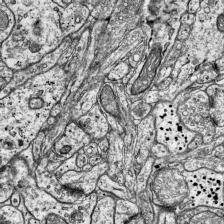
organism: Mouse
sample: Visual Cortex